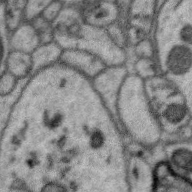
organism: Zebra finch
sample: Brain